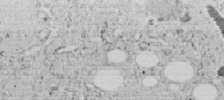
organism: C. elegans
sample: C. elegans embryo early stage